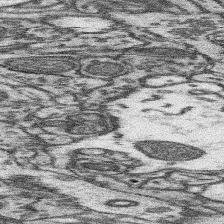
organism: Mouse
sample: Somatosensory cortex neuropil